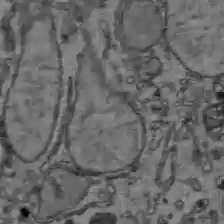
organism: C57BL Mouse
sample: Liver